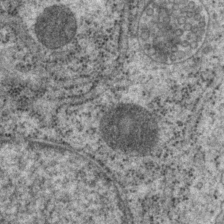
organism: P. pacificus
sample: Pharynx